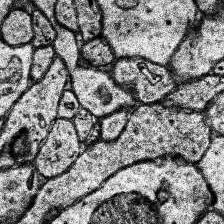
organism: Human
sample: Temporal Lobe